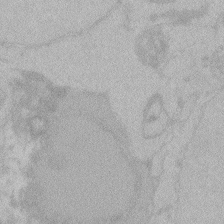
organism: Zebrafish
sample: Macrophage infected with Toxoplasma gondii